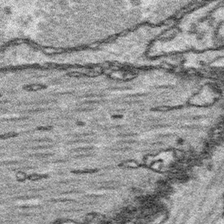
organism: Platynereis dumerilii